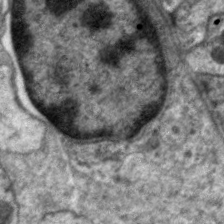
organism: C. elegans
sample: Pharynx